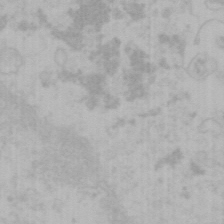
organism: Mouse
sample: Choroid plexus